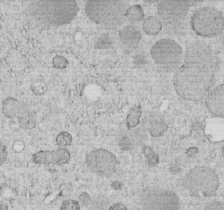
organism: C. elegans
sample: C. elegans embryo early stage